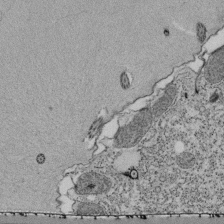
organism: Tetrahymena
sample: Cilia in tetrahymena